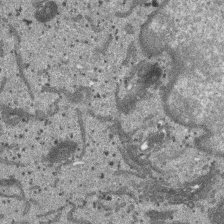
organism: Human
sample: Lung epithelial cells infected with SARS-CoV-2